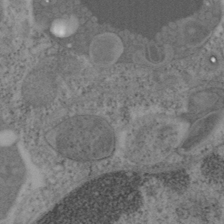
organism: Mouse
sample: OT-I killer T cells with ID8 ovarian cancer cells